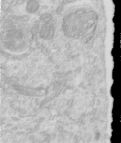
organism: Human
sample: Centriole in RPE cells